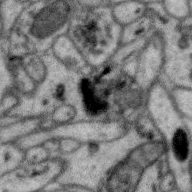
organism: Zebra finch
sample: Brain